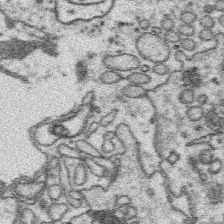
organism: Platynereis dumerilii